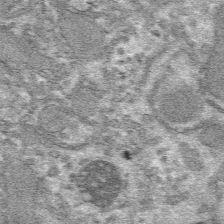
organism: Mouse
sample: Mouse hepatocytes